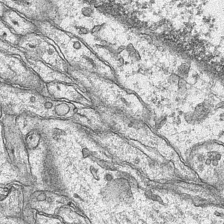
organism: Mouse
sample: CA1 Hippocampus